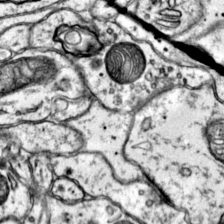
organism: Mouse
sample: Primary visual cortex